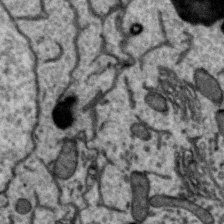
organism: Zebra finch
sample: Brain